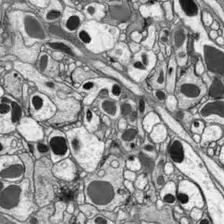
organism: Drosophila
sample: Optic lobe